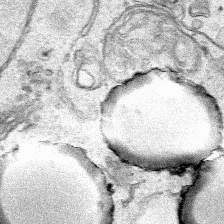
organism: Human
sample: Mitochondria in HCT116 cells